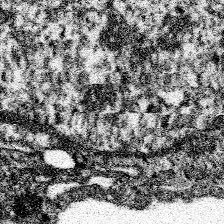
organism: Spongilla lacustris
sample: Neuroid cell